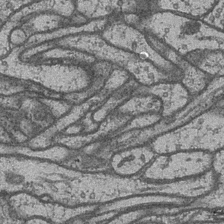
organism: Drosophila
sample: Optic medulla